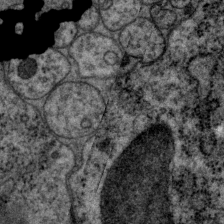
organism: P. pacificus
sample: Pharynx